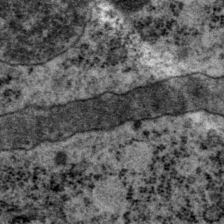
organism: P. pacificus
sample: Pharynx